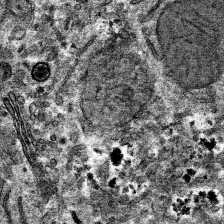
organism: Mouse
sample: Mouse hepatocytes